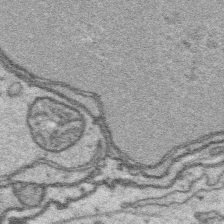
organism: Platynereis dumerilii